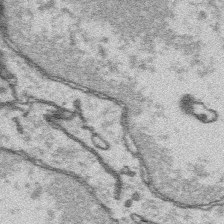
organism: Platynereis dumerilii